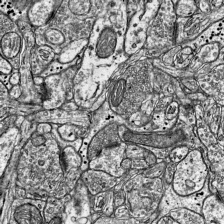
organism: Mouse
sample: Visual Cortex